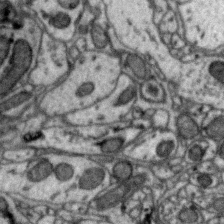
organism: Zebra finch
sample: Brain